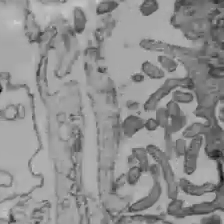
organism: C57BL Mouse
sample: Liver